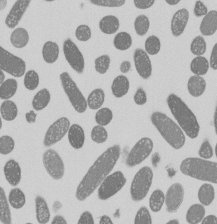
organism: E. coli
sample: Bacterial nucleoid